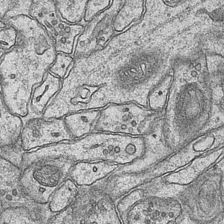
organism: Mouse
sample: CA1 Hippocampus